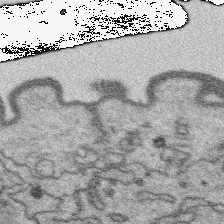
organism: Platynereis dumerilii